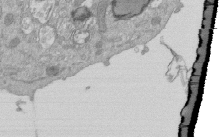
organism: Mouse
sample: ED-1 cell nuclei; centrioles